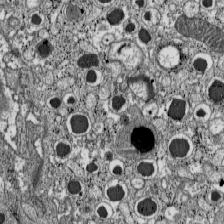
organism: C57BL Mouse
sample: Pancreatic islet